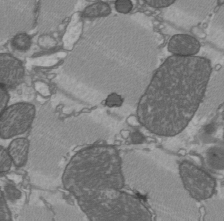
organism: C57BL Mouse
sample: Heart